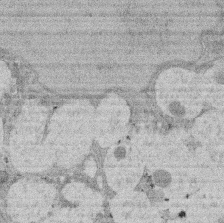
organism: Rat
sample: Salivary granule